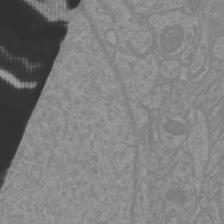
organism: Mouse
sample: Cortical neurons